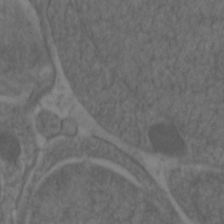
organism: Zebrafish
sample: Zebrafish embryo